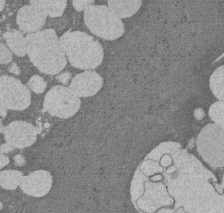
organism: Rat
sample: Salivary granule